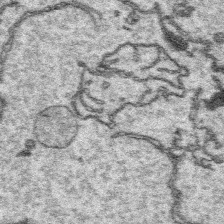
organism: Platynereis dumerilii